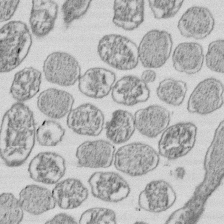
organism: E. coli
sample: Bacterial nucleoid